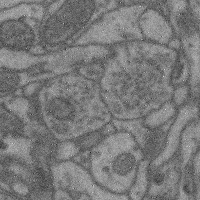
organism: Mouse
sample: Cerebral cortex